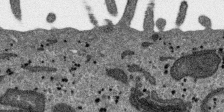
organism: Human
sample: Lung epithelial cells, uninfected (mock) control